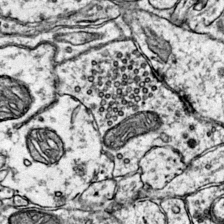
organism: Mouse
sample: Primary visual cortex